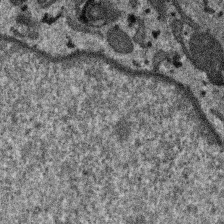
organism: Human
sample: Lung epithelial cells infected with SARS-CoV-2